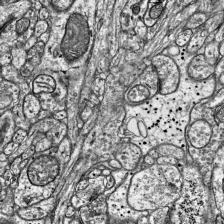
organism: Mouse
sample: Visual Cortex